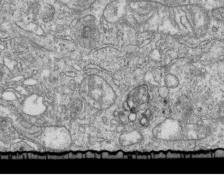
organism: Human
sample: HeLa cell HIV synapse